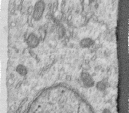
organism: Human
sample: Centriole in RPE cells